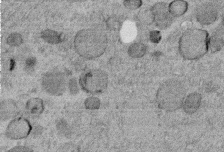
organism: C. elegans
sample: C. elegans embryo early stage